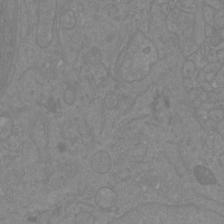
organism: Mouse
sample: Cortical neurons